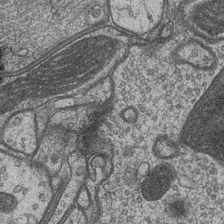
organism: Drosophila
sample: Optic medulla